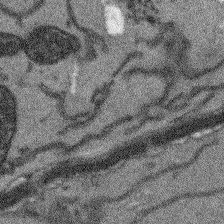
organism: Arabidopsis thaliana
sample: Root tip